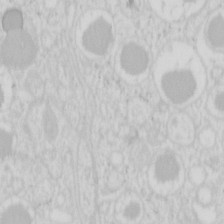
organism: Mouse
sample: Pancreas